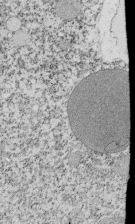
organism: Tetrahymena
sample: Cilia in tetrahymena